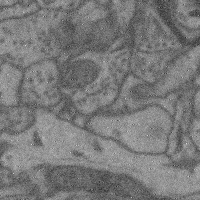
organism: Mouse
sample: Cerebral cortex